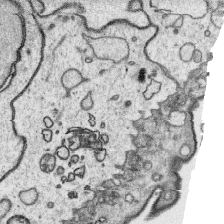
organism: Platynereis dumerilii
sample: Parapodia